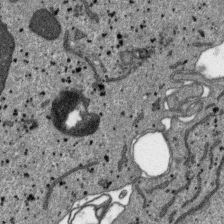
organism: Human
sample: Lung epithelial cells, uninfected (mock) control